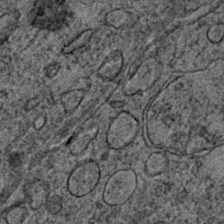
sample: Trachea